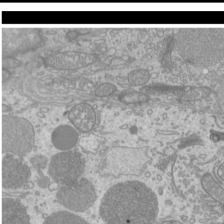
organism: Mouse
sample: Cilia; mouse epididymis